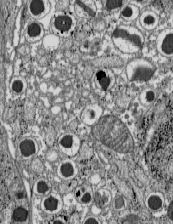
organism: C57BL Mouse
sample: Pancreatic islet